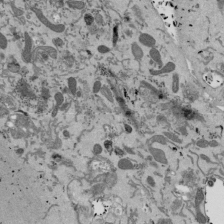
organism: Mouse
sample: ED-1 cell nuclei; centrioles